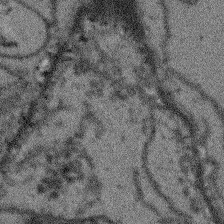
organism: Arabidopsis thaliana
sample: Root tip